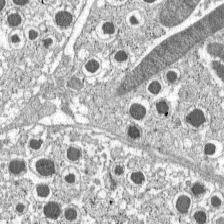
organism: C57BL Mouse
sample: Pancreatic islet